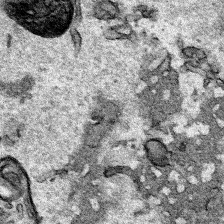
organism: Human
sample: Mitochondria in HCT116 cells